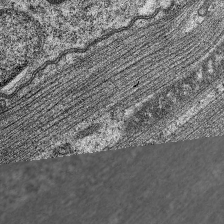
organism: C. elegans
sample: Pharynx